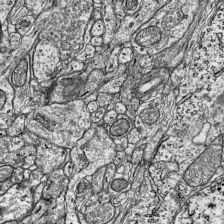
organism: Mouse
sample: Visual Cortex